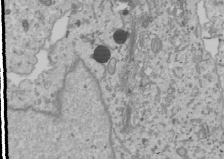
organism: Human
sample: Mitochondria in U2OS cells